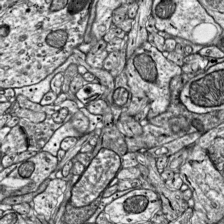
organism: Mouse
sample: Visual Cortex